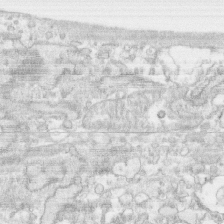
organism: Human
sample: CRL-1474